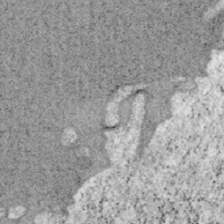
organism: Mouse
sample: OT-I killer T cells with ID8 ovarian cancer cells